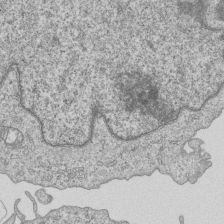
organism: Human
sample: MDA-MB-231 cells